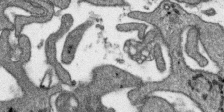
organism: Human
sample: Lung epithelial cells, uninfected (mock) control